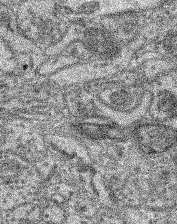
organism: Mouse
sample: Retina